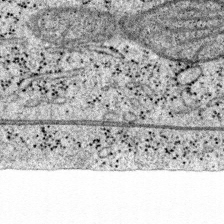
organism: Human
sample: HeLa cells